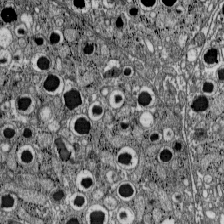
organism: C57BL Mouse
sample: Pancreatic islet